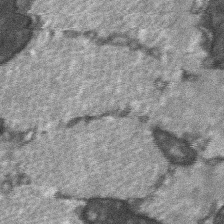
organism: C57BL Mouse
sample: Soleus